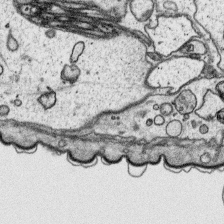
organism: Platynereis dumerilii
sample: Parapodia